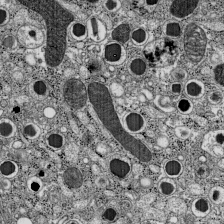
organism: C57BL Mouse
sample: Pancreatic islet